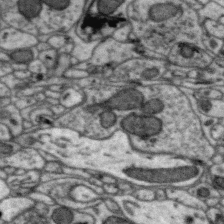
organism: Zebra finch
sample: Brain